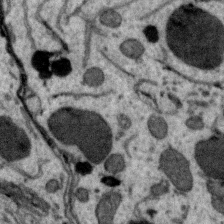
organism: Zebra finch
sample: Brain